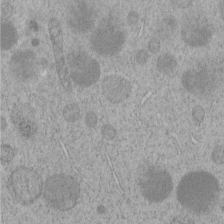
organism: C. elegans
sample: C. elegans embryo early stage